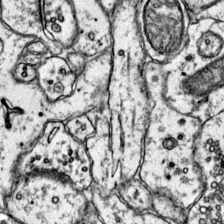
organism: Mouse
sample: Primary visual cortex